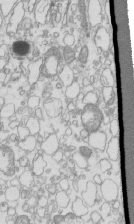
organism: Mouse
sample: Macrophages